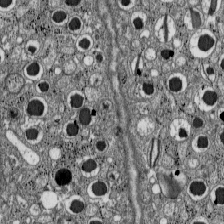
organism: C57BL Mouse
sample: Pancreatic islet